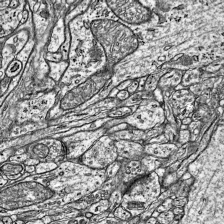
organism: Mouse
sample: Visual Cortex